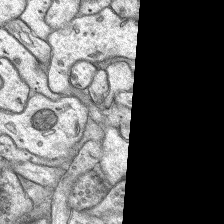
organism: Rat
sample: Hippocampus